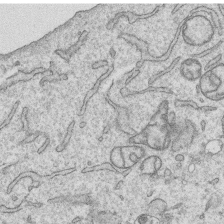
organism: Human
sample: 1205lu cells